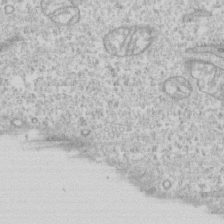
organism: Human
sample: CRL-1474